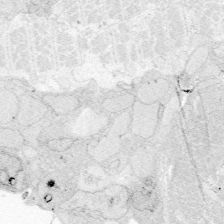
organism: Zebrafish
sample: Whole-Brain